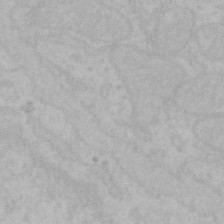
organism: Mouse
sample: Choroid plexus